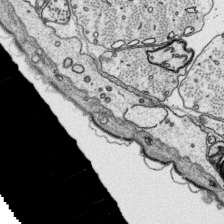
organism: Platynereis dumerilii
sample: Parapodia